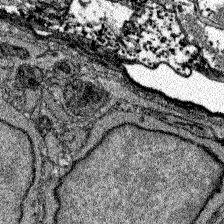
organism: Zebrafish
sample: Larval olfactory bulb